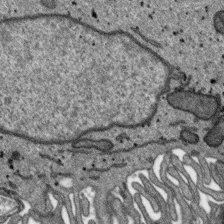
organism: Human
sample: Lung epithelial cells, uninfected (mock) control